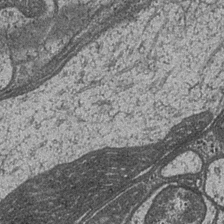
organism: Drosophila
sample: Optic medulla